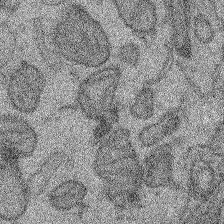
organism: Human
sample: HeLa cells